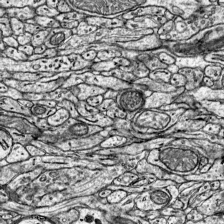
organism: Mouse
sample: Visual Cortex